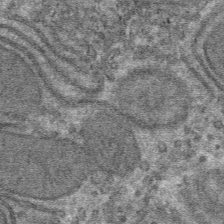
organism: Mouse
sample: Mouse hepatocytes